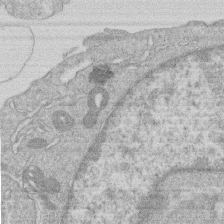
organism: Human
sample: Macrophage cells